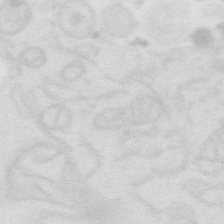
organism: Human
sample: HeLa cells